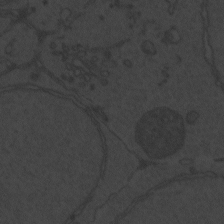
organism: Zebrafish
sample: Macrophage infected with Toxoplasma gondii